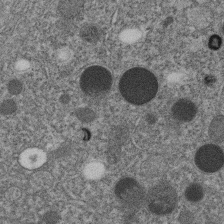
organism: C. elegans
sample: C. elegans embryo early stage